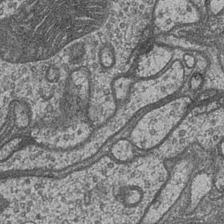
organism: Drosophila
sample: Optic medulla